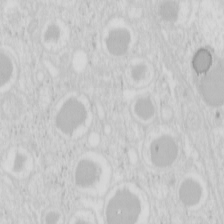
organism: Mouse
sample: Pancreas